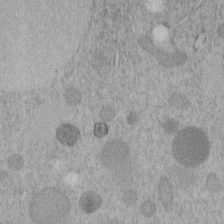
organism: C. elegans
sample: C. elegans embryo early stage